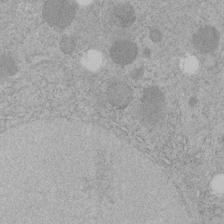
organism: C. elegans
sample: C. elegans embryo early stage